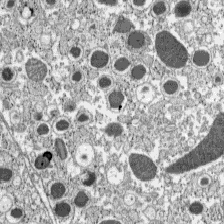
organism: C57BL Mouse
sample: Pancreatic islet